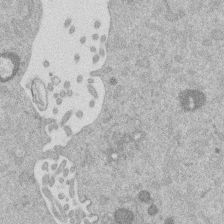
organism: Mouse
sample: Dividing mouse embryo 1 cell stage